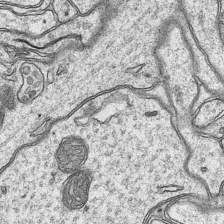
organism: Mouse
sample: CA1 Hippocampus